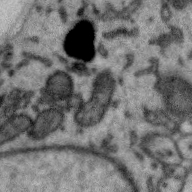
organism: Zebra finch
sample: Brain